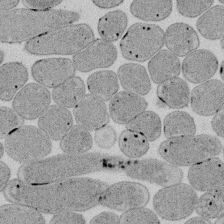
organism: E. coli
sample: Bacterial nucleoid